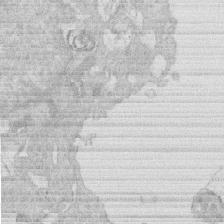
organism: Human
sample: Macrophage cells